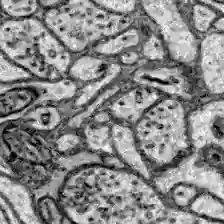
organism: Zebrafish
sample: Brain